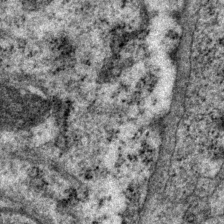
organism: P. pacificus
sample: Pharynx